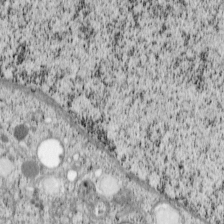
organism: African green monkey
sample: COS-7 cells